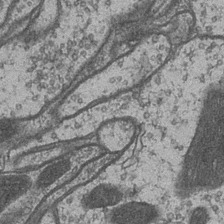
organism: Drosophila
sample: Optic medulla